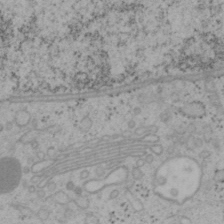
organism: Human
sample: HeLa cells